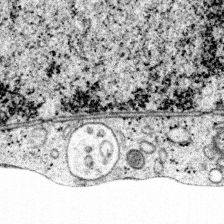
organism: Human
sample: HeLa cells